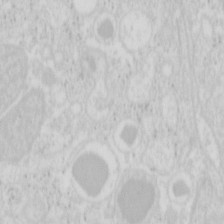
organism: Mouse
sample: Pancreas